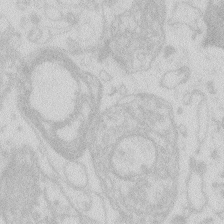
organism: Zebrafish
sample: Macrophage